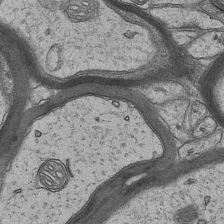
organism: Mouse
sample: CA1 Hippocampus